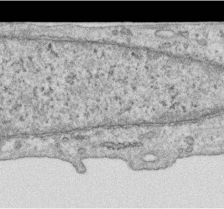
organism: Human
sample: Centriole in RPE cells